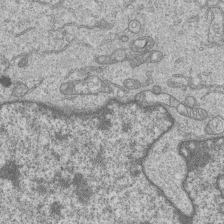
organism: Human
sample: MDA-MB-231 cells